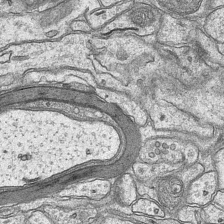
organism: Mouse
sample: CA1 Hippocampus